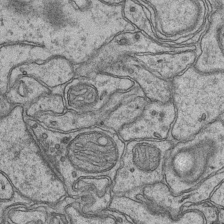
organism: Mouse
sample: CA1 Hippocampus